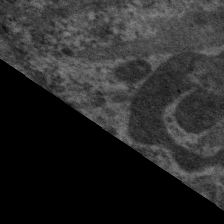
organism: C. elegans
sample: Pharynx